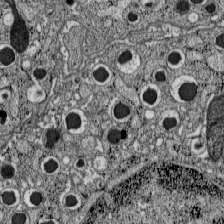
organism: C57BL Mouse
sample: Pancreatic islet